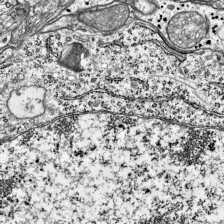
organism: Mouse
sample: Visual Cortex